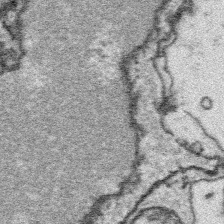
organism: Platynereis dumerilii